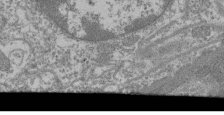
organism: Mouse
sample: Glomerulus